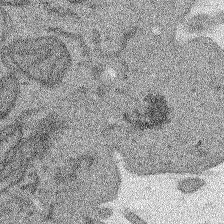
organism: Human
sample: HeLa cells